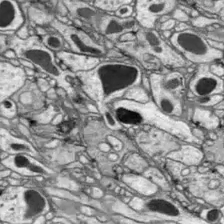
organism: Drosophila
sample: Optic lobe